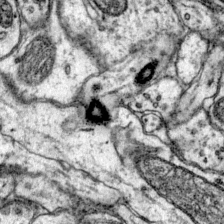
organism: Mouse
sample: Primary visual cortex